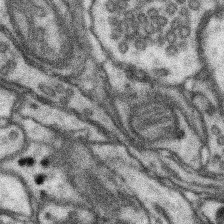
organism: Mouse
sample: Somatosensory cortex neuropil